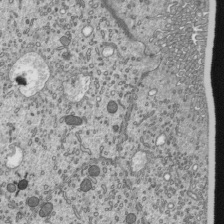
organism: Mouse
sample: Mouse epididymis efferent ductule cilia